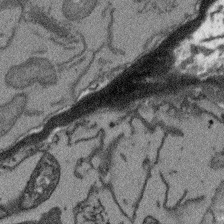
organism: Arabidopsis thaliana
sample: Root tip